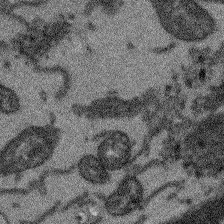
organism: Arabidopsis thaliana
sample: Root tip